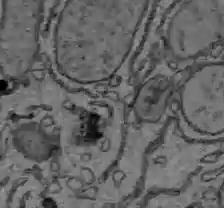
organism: C57BL Mouse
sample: Liver